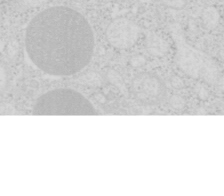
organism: Mouse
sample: Pancreas